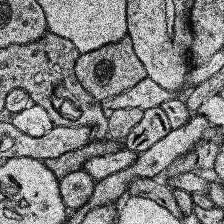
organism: Human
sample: Temporal Lobe